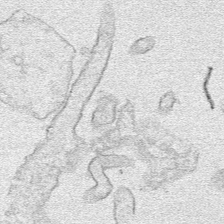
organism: Human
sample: Mitochondria in HCT116 cells